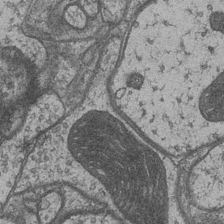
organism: Drosophila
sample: Optic medulla